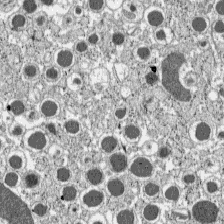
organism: C57BL Mouse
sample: Pancreatic islet